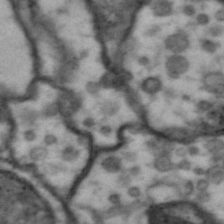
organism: Drosophila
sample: Brain